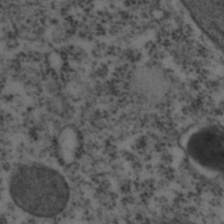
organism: C. elegans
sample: C. elegans embryo